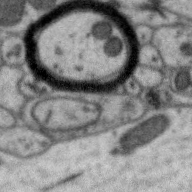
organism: Zebra finch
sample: Brain